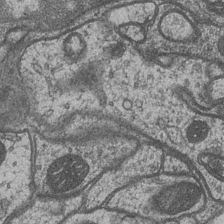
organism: Drosophila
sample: Optic medulla